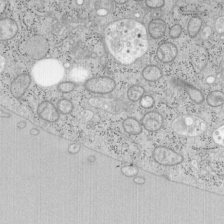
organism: Mouse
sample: OT-I killer T cells with ID8 ovarian cancer cells